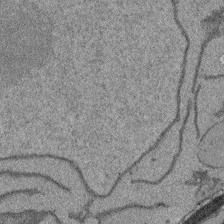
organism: Arabidopsis thaliana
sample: Root tip